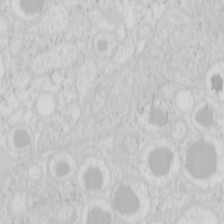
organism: Mouse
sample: Pancreas